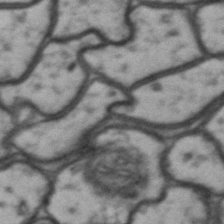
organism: Drosophila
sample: Brain